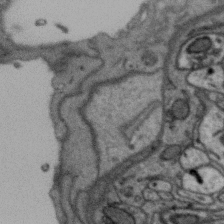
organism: Zebra finch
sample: Brain